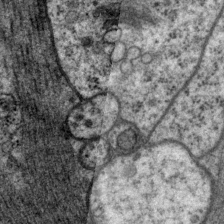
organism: P. pacificus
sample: Pharynx